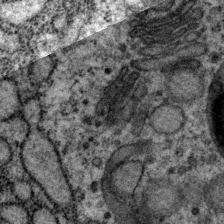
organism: P. pacificus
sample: Pharynx